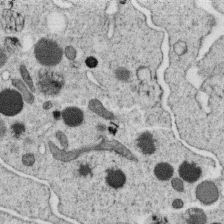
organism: C. elegans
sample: C. elegans oocyte; sperm cells